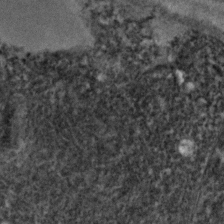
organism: Zebrafish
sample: Zebrafish embryo